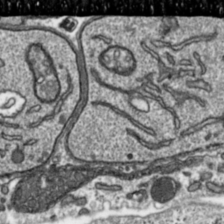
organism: Toxoplasma gondii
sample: Parasites in a vacuole inside a host cell